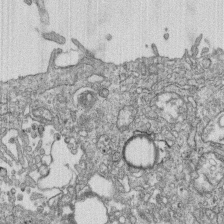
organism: Human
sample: HeLa cell HIV synapse